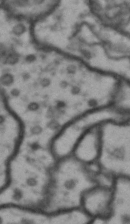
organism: Drosophila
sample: Brain